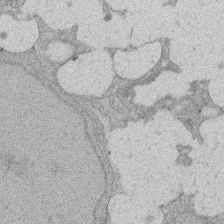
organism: Rat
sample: Salivary granule